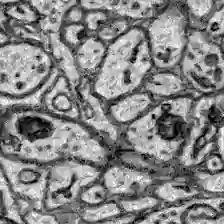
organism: Zebrafish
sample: Brain